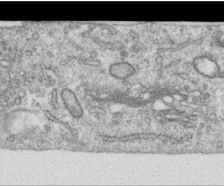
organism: Human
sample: Centriole in RPE cells